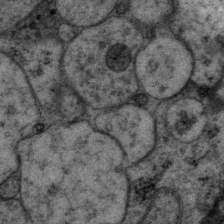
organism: P. pacificus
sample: Pharynx